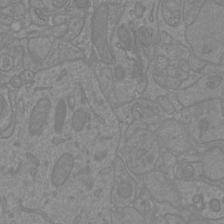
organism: Mouse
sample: Cortical neurons